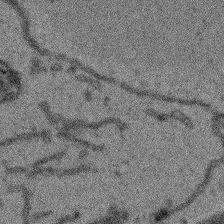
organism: Arabidopsis thaliana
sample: Root tip